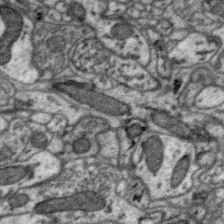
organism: Zebra finch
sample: Brain